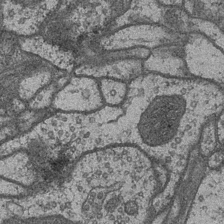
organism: Drosophila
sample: Optic medulla